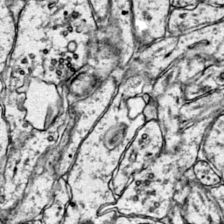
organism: Mouse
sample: Primary visual cortex